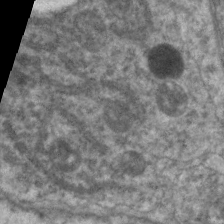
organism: C. elegans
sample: Pharynx